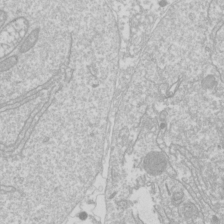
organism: Drosophila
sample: Cell division; meiosis; drosophila spermatocytes